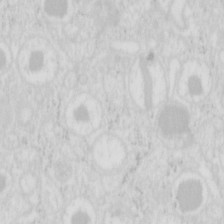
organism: Mouse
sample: Pancreas